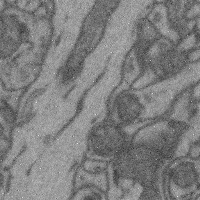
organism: Mouse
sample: Cerebral cortex